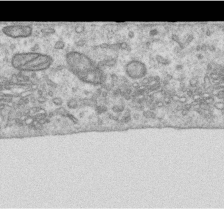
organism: Human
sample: Centriole in RPE cells